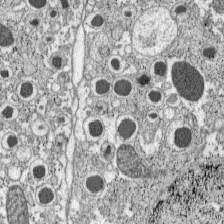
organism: C57BL Mouse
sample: Pancreatic islet